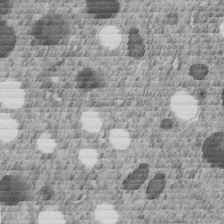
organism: C. elegans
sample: C. elegans embryo early stage